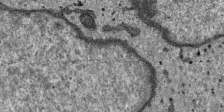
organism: Human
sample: Lung epithelial cells, uninfected (mock) control